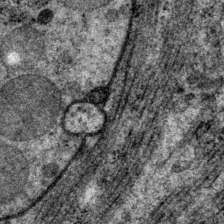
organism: P. pacificus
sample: Pharynx